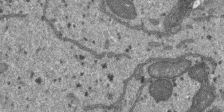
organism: Human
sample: Lung epithelial cells infected with SARS-CoV-2